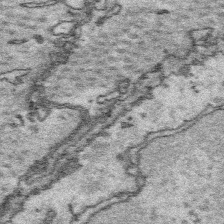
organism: Platynereis dumerilii